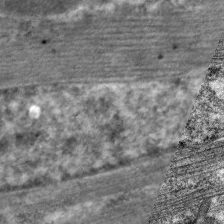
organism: C. elegans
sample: Pharynx